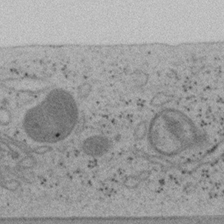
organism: Human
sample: HeLa cells